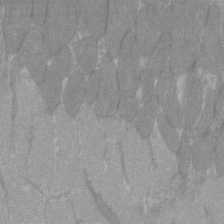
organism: C57BL Mouse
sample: Tibialis anterior muscle cell